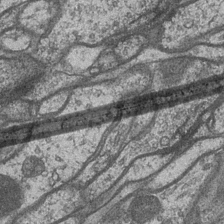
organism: Drosophila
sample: Optic medulla